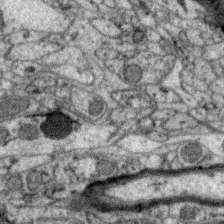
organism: Zebra finch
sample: Brain